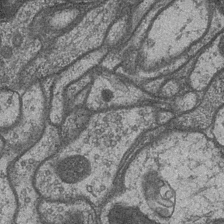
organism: Drosophila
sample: Optic medulla